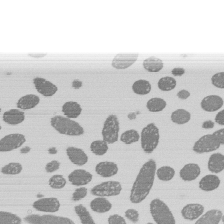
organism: E. coli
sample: Bacterial nucleoid